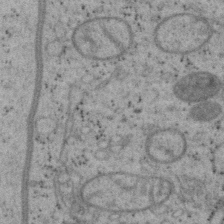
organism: Human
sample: HeLa cells